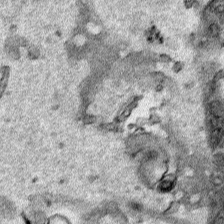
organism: Human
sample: Mitochondria in HCT116 cells